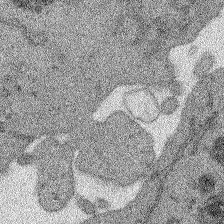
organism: Human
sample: HeLa cells